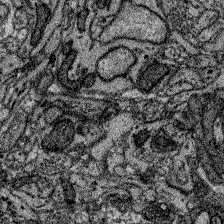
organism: Zebrafish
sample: Larval olfactory bulb